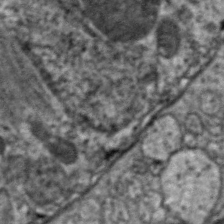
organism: C. elegans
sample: Pharynx